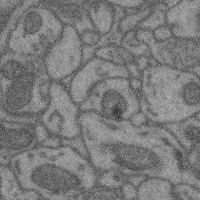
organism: Mouse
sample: Cerebral cortex